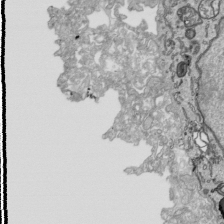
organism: Human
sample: Mitochondria in HCT116 cells